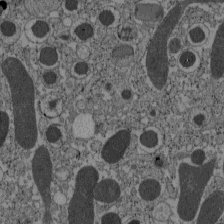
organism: C57BL Mouse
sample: Pancreatic islet